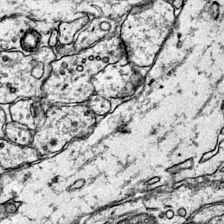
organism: Mouse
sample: Primary visual cortex